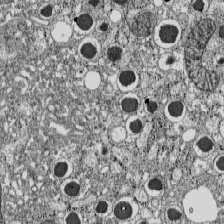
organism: C57BL Mouse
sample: Pancreatic islet